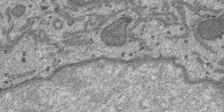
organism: Human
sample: Lung epithelial cells infected with SARS-CoV-2